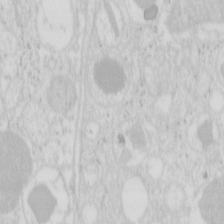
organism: Mouse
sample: Pancreas